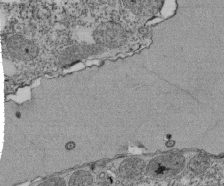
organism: Tetrahymena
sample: Cilia in tetrahymena